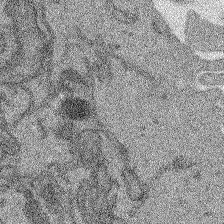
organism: Human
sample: HeLa cells